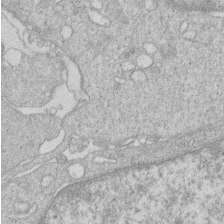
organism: Human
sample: Macrophage cells